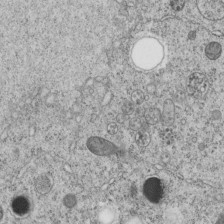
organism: C. elegans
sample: C. elegans embryo early stage